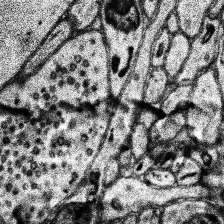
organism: Human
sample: Temporal Lobe